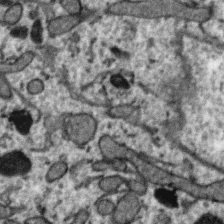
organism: Zebra finch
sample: Brain